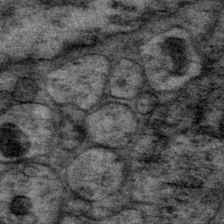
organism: P. pacificus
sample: Pharynx